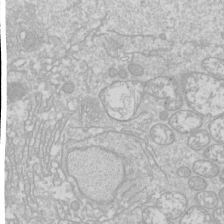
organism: Drosophila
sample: Cell division; meiosis; drosophila spermatocytes